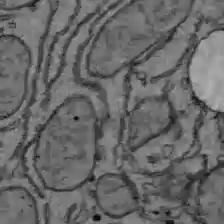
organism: C57BL Mouse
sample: Liver